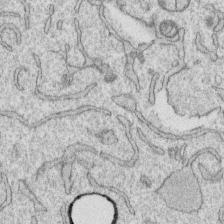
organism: Human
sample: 1205lu cells